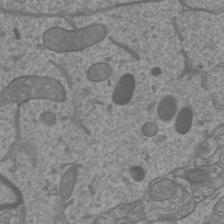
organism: Mouse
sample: Cortical neurons